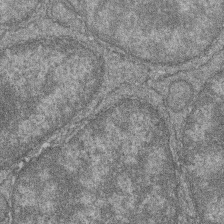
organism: Zebrafish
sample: Cilia; retinal pigment epithelium